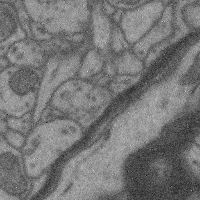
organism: Mouse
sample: Cerebral cortex